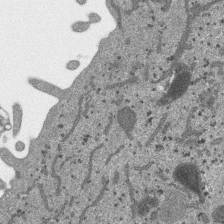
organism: Human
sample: Lung epithelial cells infected with SARS-CoV-2